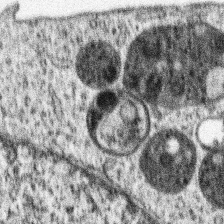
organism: Human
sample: HeLa cells